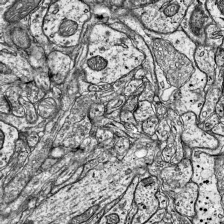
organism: Mouse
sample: Visual Cortex